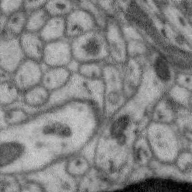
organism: Zebra finch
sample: Brain